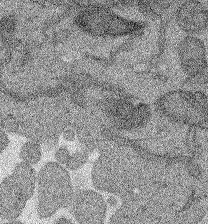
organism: Human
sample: HeLa cells